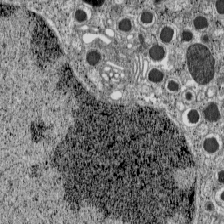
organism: C57BL Mouse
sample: Pancreatic islet